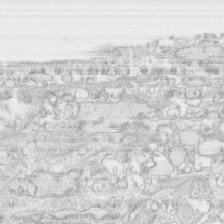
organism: Human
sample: CRL-1474